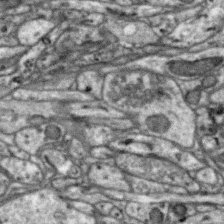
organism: Zebra finch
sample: Brain